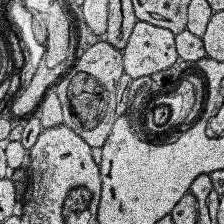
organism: Human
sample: Temporal Lobe